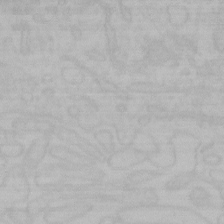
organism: Mouse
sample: Choroid plexus